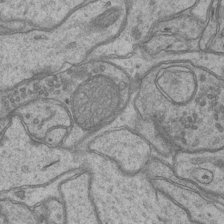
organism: Mouse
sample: CA1 Hippocampus